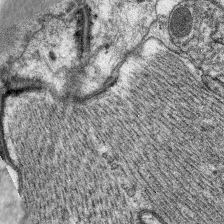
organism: C. elegans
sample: Pharynx